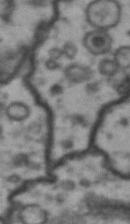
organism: Drosophila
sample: Brain